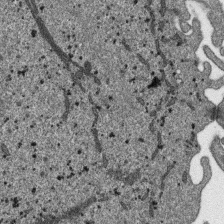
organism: Human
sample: Lung epithelial cells infected with SARS-CoV-2